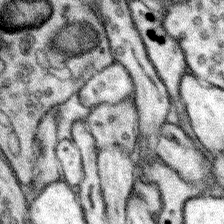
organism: Mouse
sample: Somatosensory cortex neuropil